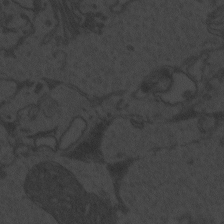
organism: Zebrafish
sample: Macrophage infected with Toxoplasma gondii